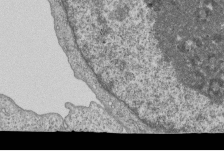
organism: Human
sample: MDA-MB-231 cells